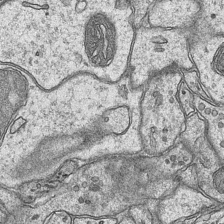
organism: Mouse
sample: CA1 Hippocampus